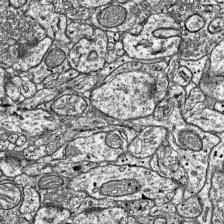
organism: Mouse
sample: Visual Cortex